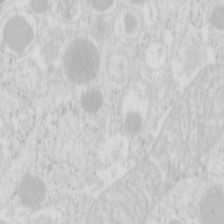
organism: Mouse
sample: Pancreas